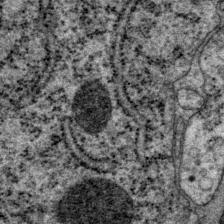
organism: P. pacificus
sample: Pharynx